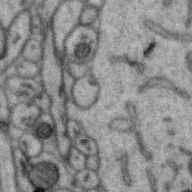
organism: Zebra finch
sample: Brain